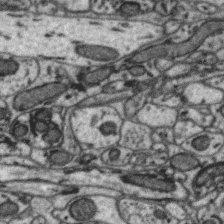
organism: Zebra finch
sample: Brain